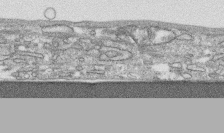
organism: Human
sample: CRL-1474